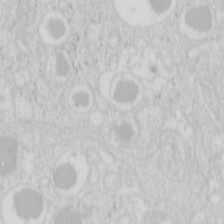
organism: Mouse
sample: Pancreas